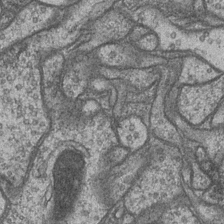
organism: Drosophila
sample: Optic medulla